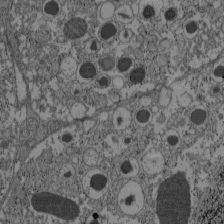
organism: C57BL Mouse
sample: Pancreatic islet